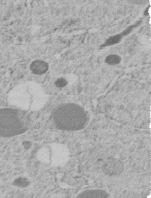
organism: C. elegans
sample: C. elegans embryo early stage